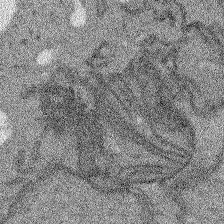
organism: Human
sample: HeLa cells